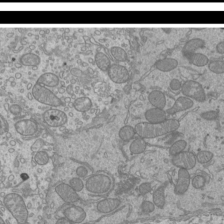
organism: Mouse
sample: Cilia; mouse epididymis